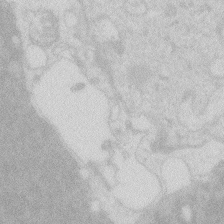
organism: Zebrafish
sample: Macrophage